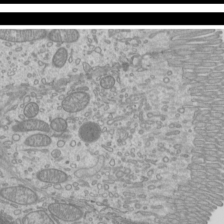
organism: Mouse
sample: Cilia; mouse epididymis